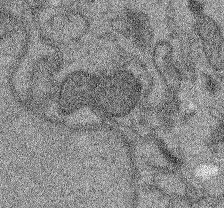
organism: Human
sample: HeLa cells